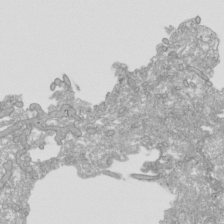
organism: Human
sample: Mitochondria in HCT116 cells